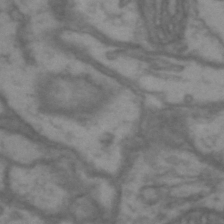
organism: Drosophila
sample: Brain